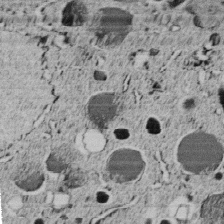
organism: C. elegans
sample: C. elegans embryo early stage